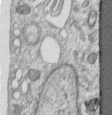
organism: Human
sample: Centriole in RPE cells